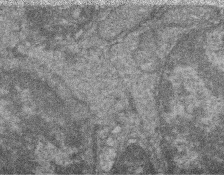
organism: Zebrafish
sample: Cilia; retinal pigment epithelium